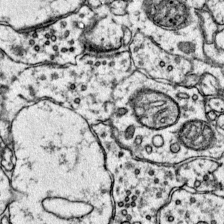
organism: Mouse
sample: Primary visual cortex